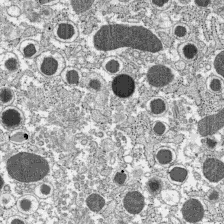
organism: C57BL Mouse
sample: Pancreatic islet